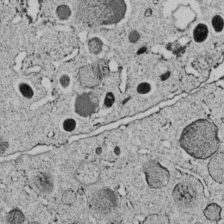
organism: C. elegans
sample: C. elegans embryo early stage